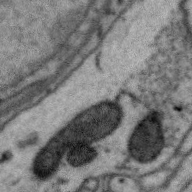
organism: Zebra finch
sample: Brain